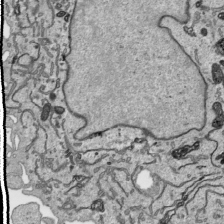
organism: Human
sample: Mitochondria in HCT116 cells